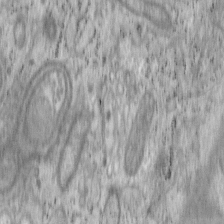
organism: Human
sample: HeLa cells